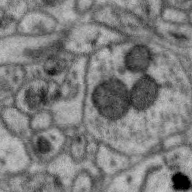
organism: Zebra finch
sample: Brain